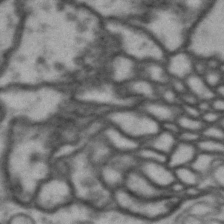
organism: Drosophila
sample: Brain